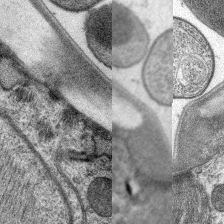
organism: C. elegans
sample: Pharynx